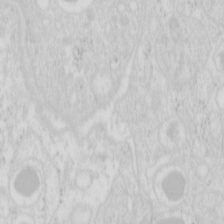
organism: Mouse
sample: Pancreas